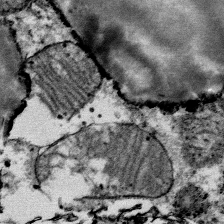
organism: Mouse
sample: Mouse Salivary gland